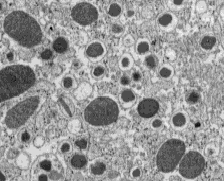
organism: C57BL Mouse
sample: Pancreatic islet